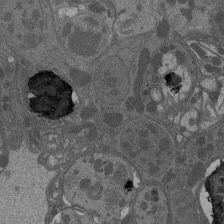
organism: Drosophila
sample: Antenna